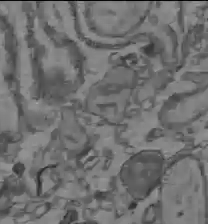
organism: C57BL Mouse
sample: Liver